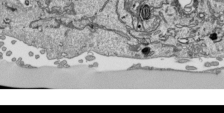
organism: Human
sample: Mitochondria in HCT116 cells